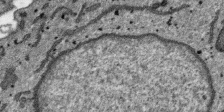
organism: Human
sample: Lung epithelial cells, uninfected (mock) control